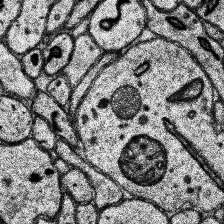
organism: Human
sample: Temporal Lobe